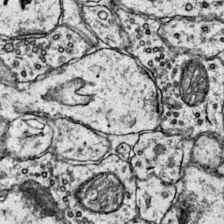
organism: Mouse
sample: Primary visual cortex